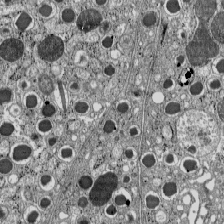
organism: C57BL Mouse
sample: Pancreatic islet